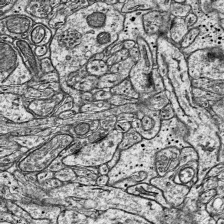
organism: Mouse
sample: Visual Cortex